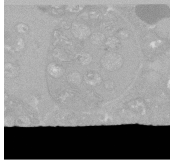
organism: C. elegans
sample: C. elegans oocyte; sperm cells